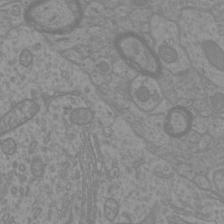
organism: Mouse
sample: Cortical neurons